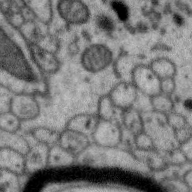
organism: Zebra finch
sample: Brain